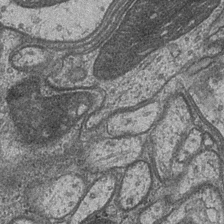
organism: Drosophila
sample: Optic medulla